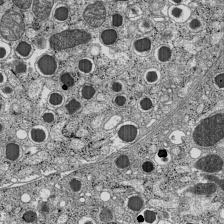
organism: C57BL Mouse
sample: Pancreatic islet